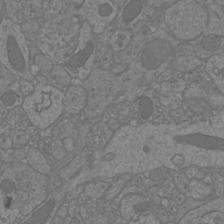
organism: Mouse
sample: Cortical neurons